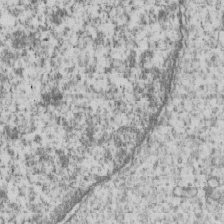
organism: Human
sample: MDA-MB-231 cells